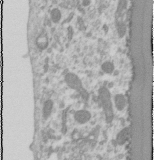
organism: Human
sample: Cilia; basal body in RPE cells